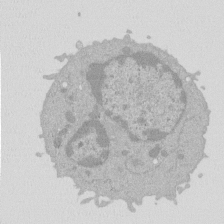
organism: Mouse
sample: Activated Pmel transgenic CD8+ T Cells